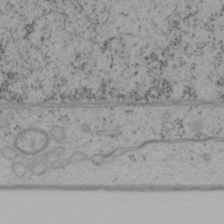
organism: Human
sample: HeLa cells